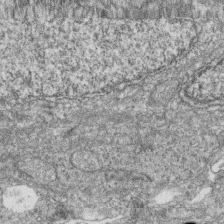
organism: Zebrafish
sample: Cilia; retinal pigment epithelium